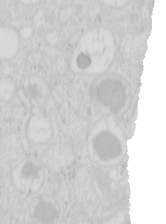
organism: Mouse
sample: Pancreas